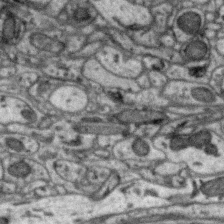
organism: Zebra finch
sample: Brain